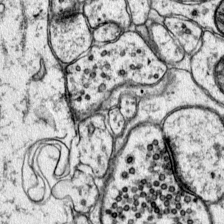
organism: Mouse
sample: Primary visual cortex